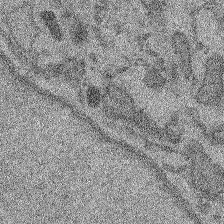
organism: Human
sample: HeLa cells